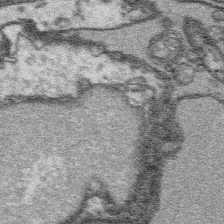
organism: Platynereis dumerilii